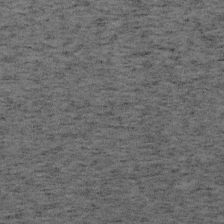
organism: Mouse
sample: OT-I killer T cells with ID8 ovarian cancer cells